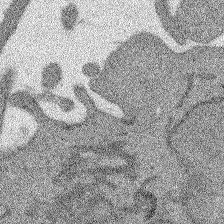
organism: Human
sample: HeLa cells